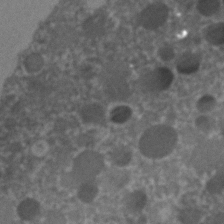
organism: C. elegans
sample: C. elegans embryo